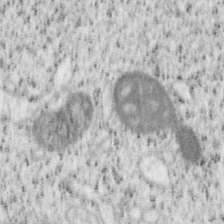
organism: Mouse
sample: OT-I killer T cells with ID8 ovarian cancer cells